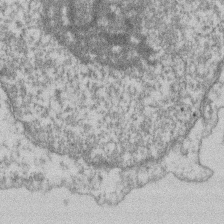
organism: Mouse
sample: T cell stromal cell synapse